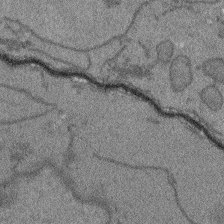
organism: Arabidopsis thaliana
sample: Root tip